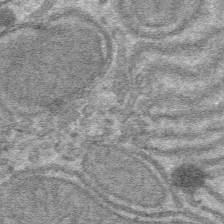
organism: Mouse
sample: Mouse hepatocytes